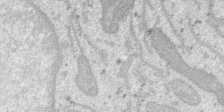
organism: Human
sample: Lung epithelial cells infected with SARS-CoV-2